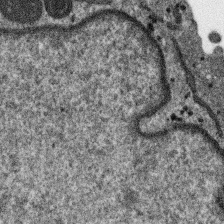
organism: Human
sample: Lung epithelial cells infected with SARS-CoV-2